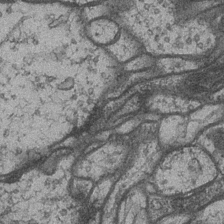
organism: Drosophila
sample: Optic medulla